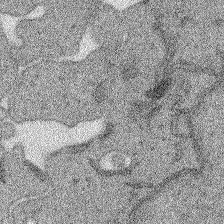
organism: Human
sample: HeLa cells